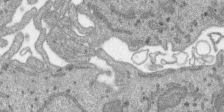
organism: Human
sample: Lung epithelial cells infected with SARS-CoV-2